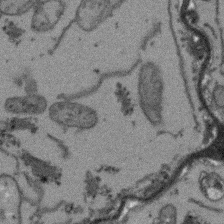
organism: Arabidopsis thaliana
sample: Root tip